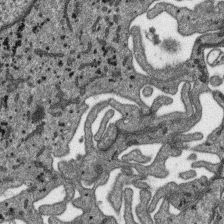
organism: Human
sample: Lung epithelial cells infected with SARS-CoV-2